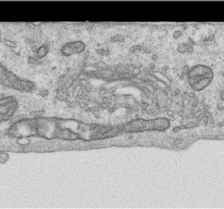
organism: Human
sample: Centriole in RPE cells